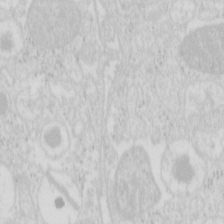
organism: Mouse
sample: Pancreas